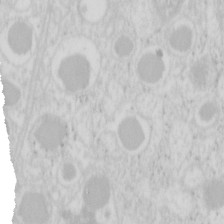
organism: Mouse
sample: Pancreas